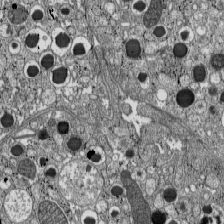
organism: C57BL Mouse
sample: Pancreatic islet